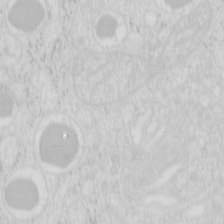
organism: Mouse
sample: Pancreas